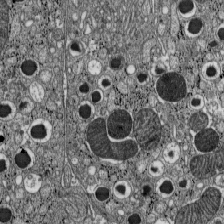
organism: C57BL Mouse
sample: Pancreatic islet